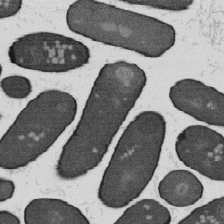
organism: B. subtilis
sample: Bacterial spore